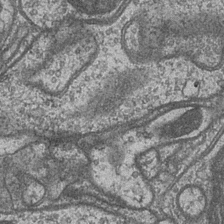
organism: Drosophila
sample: Optic medulla